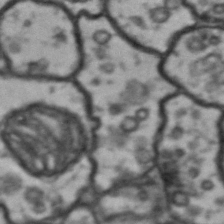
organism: Drosophila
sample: Brain